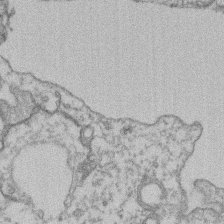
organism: Mouse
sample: T cell stromal cell synapse